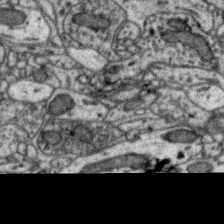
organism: Zebra finch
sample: Brain